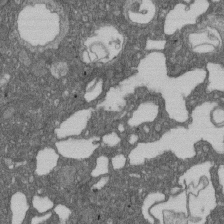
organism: Drosophila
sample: Nephrocyte